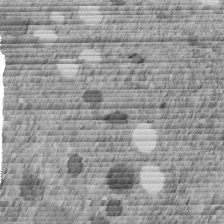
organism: C. elegans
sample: C. elegans embryo early stage